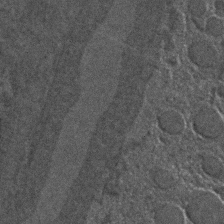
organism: C. elegans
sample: C. elegans embryo